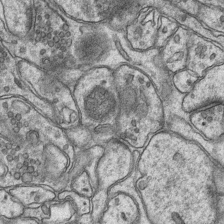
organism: Mouse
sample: CA1 Hippocampus